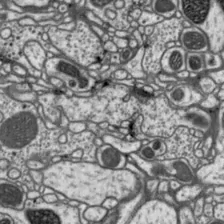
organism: Drosophila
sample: Protocerebral bridge